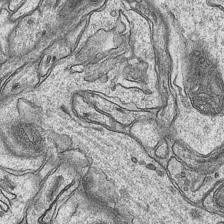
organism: Mouse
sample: CA1 Hippocampus